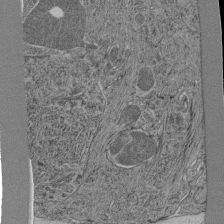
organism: C. elegans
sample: C. elegans pharynx